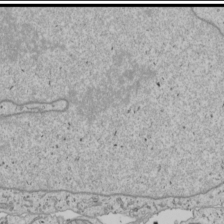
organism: Human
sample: Mitochondria in U2OS cells